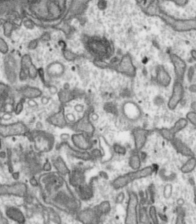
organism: Toxoplasma gondii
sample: Parasites in a vacuole inside a host cell